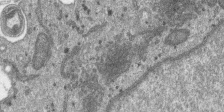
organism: Human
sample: Lung epithelial cells infected with SARS-CoV-2